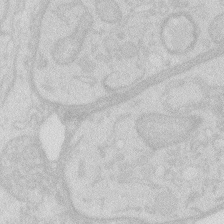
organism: Zebrafish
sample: Macrophage